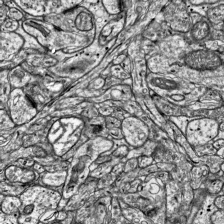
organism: Mouse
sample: Visual Cortex